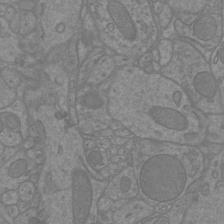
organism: Mouse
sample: Cortical neurons